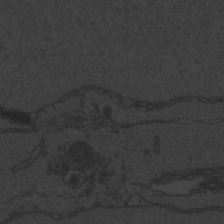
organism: Zebrafish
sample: Macrophage infected with Toxoplasma gondii